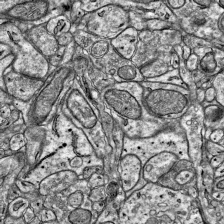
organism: Mouse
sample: Visual Cortex